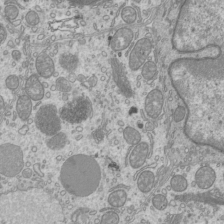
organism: Mouse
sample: Cilia; mouse epididymis